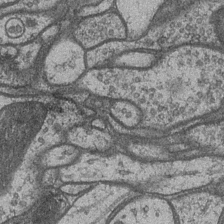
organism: Drosophila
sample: Optic medulla